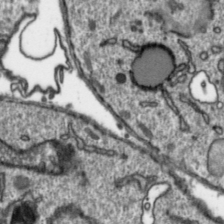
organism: Toxoplasma gondii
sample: Parasites in a vacuole inside a host cell